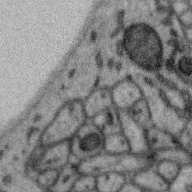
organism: Zebra finch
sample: Brain